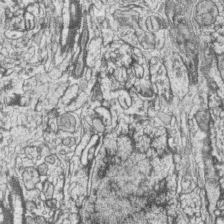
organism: Zebrafish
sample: synaptic ribbons in rod cells and cone cells